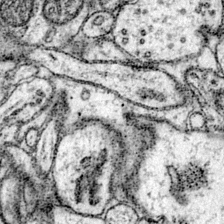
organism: Mouse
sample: Primary visual cortex